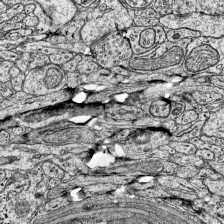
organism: Mouse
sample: Visual Cortex